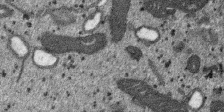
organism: Human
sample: Lung epithelial cells infected with SARS-CoV-2